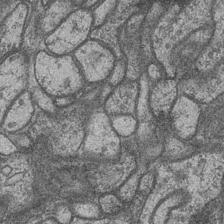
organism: Drosophila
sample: Optic medulla